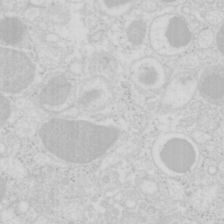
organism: Mouse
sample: Pancreas